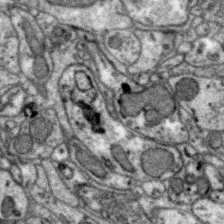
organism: Zebra finch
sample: Brain